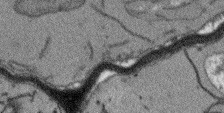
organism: Arabidopsis thaliana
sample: Root tip